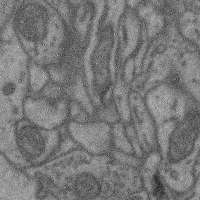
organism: Mouse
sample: Cerebral cortex